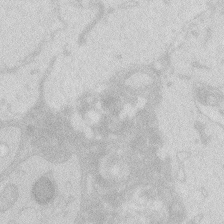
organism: Zebrafish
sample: Macrophage